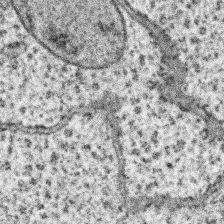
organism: Human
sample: HeLa cells